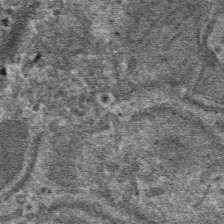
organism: Mouse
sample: Mouse hepatocytes